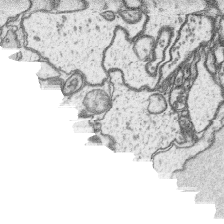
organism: Platynereis dumerilii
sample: Parapodia